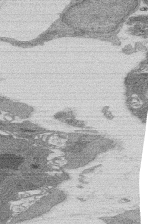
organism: Rat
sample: Salivary granule